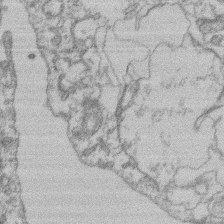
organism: Mouse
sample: T cell stromal cell synapse